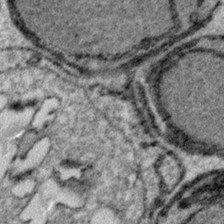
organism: Plasmodium falciparum